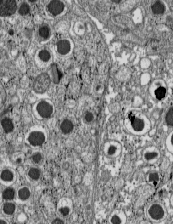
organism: C57BL Mouse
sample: Pancreatic islet